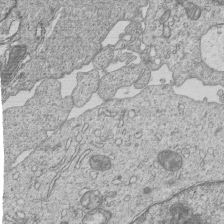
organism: Human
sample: MDA-MB-231 cells